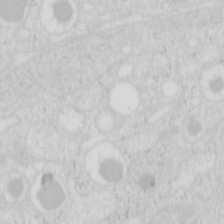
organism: Mouse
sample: Pancreas